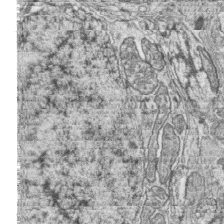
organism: Zebrafish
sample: synaptic ribbons in rod cells and cone cells